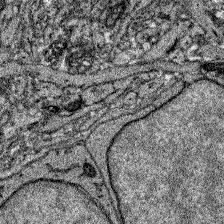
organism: Zebrafish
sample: Larval olfactory bulb